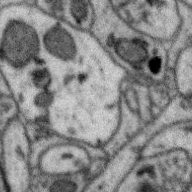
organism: Zebra finch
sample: Brain